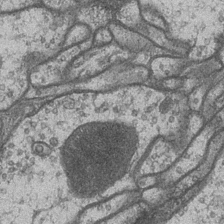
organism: Drosophila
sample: Optic medulla